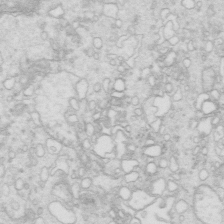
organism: Mouse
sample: Multiciliated cells